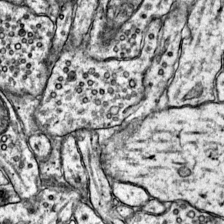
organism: Mouse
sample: Primary visual cortex